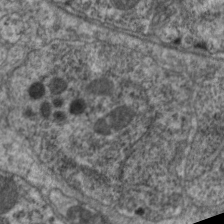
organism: C. elegans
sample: Pharynx